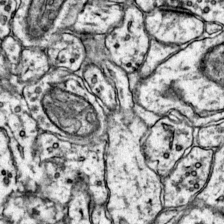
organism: Mouse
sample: Primary visual cortex